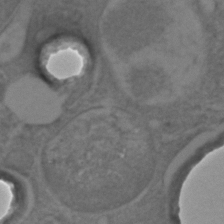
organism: C. elegans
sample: C. elegans embryo